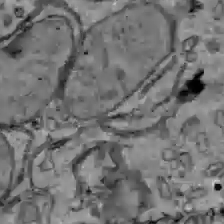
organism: C57BL Mouse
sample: Liver